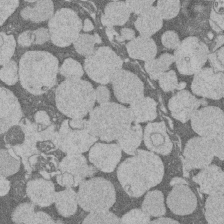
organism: Rat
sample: Salivary granule